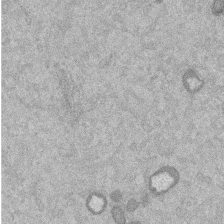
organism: Mouse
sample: Dividing mouse embryo 1 cell stage